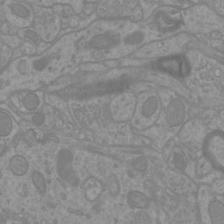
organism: Mouse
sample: Cortical neurons